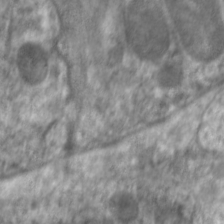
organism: C. elegans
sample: Pharynx